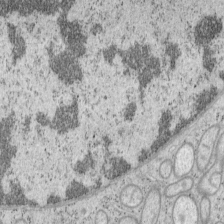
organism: Mouse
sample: OT-I killer T cells with ID8 ovarian cancer cells